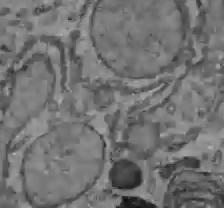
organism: C57BL Mouse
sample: Liver